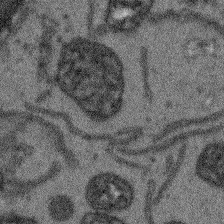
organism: Arabidopsis thaliana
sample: Root tip